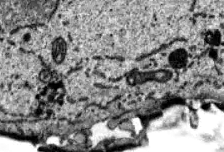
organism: Human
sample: HeLa cells